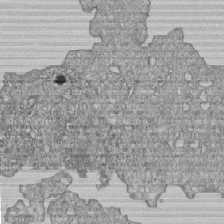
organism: Human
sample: MDA-MB-231 cells